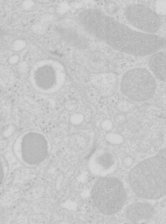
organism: Mouse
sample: Pancreas